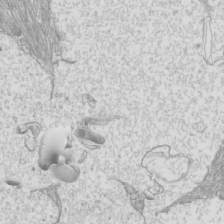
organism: Mouse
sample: Cilia; mouse epididymis